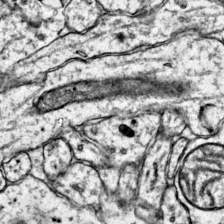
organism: Mouse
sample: Primary visual cortex